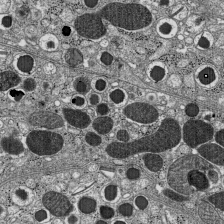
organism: C57BL Mouse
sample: Pancreatic islet